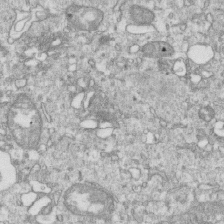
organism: Mouse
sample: Activated OT-1 CD8+ T cells